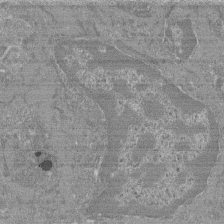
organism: Mouse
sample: Glomerulus